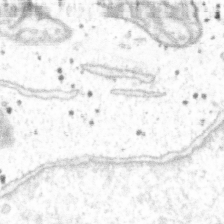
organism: Human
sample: HeLa cells